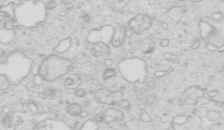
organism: Mouse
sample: Multiciliated cells